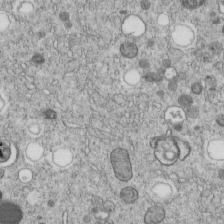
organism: C. elegans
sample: C. elegans embryo early stage